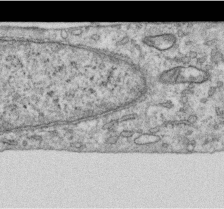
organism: Human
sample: Centriole in RPE cells